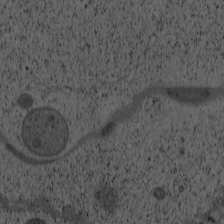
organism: African green monkey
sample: COS-7 cells